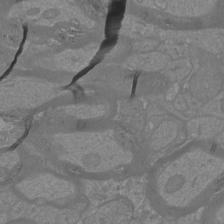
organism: Mouse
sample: Cortical neurons